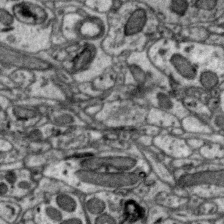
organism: Zebra finch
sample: Brain